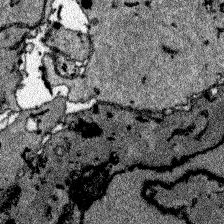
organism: Zebrafish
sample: Larval olfactory bulb